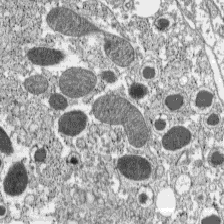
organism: C57BL Mouse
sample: Pancreatic islet